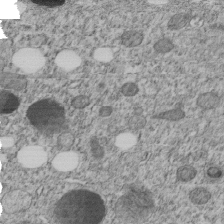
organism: C. elegans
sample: C. elegans embryo early stage